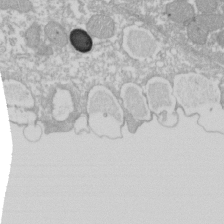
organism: Xenopus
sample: Cilia; centrioles in frog embryo cells